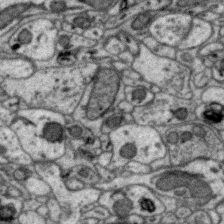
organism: Zebra finch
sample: Brain